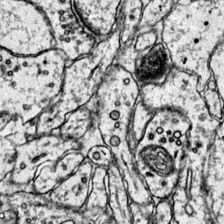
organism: Mouse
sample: Primary visual cortex